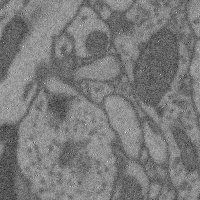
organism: Mouse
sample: Cerebral cortex